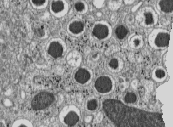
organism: C57BL Mouse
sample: Pancreatic islet